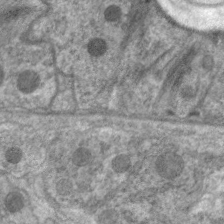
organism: C. elegans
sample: Pharynx